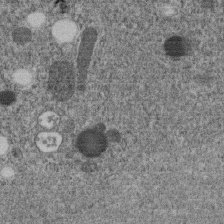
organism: C. elegans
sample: C. elegans embryo early stage